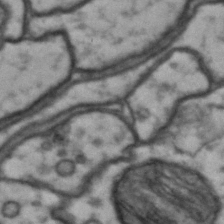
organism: Drosophila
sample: Brain